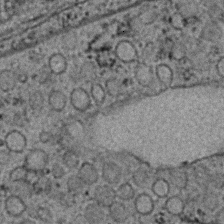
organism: C. elegans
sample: C. elegans embryo